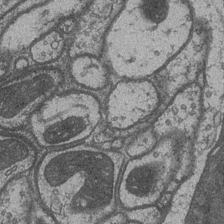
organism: Drosophila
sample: Optic medulla